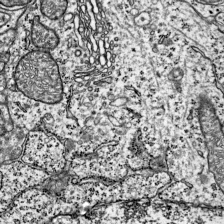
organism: Mouse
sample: Visual Cortex